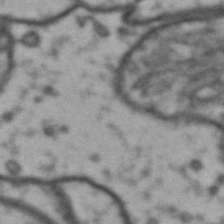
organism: Drosophila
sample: Brain